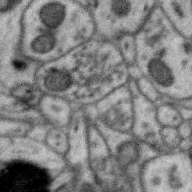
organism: Zebra finch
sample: Brain